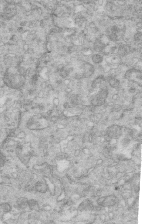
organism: Mouse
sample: Multiciliated cells